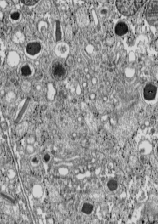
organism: C57BL Mouse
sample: Pancreatic islet